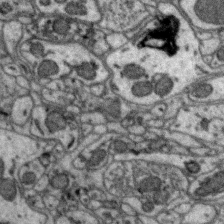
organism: Zebra finch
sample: Brain